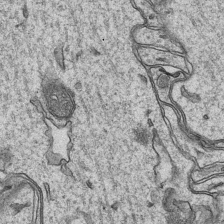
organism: Mouse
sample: CA1 Hippocampus